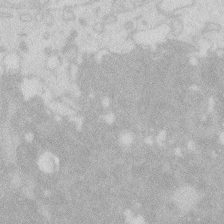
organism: Zebrafish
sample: Macrophage